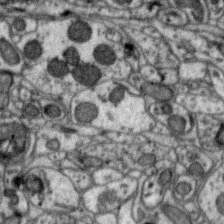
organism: Zebra finch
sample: Brain